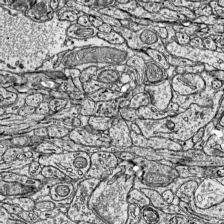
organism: Mouse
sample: Visual Cortex